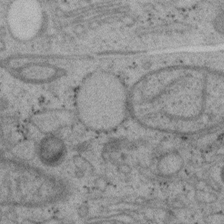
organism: Human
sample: HeLa cells